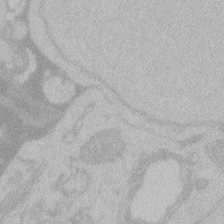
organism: Zebrafish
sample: Macrophage infected with Toxoplasma gondii